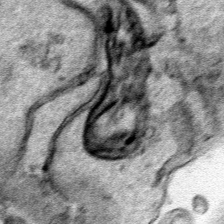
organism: Human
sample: Mitochondria in HCT116 cells